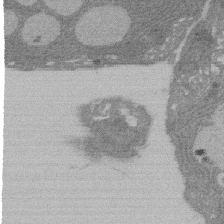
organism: Rat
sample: Salivary granule